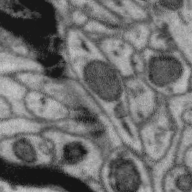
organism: Zebra finch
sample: Brain